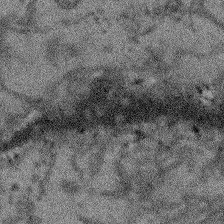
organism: Arabidopsis thaliana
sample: Root tip